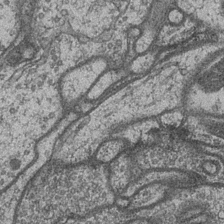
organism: Drosophila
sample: Optic medulla